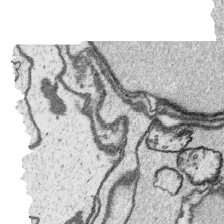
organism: Platynereis dumerilii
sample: Parapodia